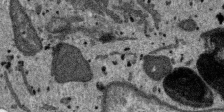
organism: Human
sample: Lung epithelial cells, uninfected (mock) control